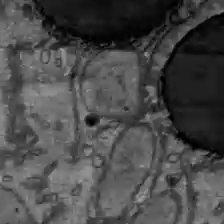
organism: C57BL Mouse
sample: Liver